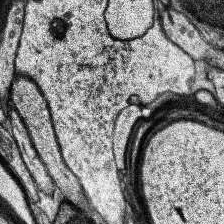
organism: Human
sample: Temporal Lobe